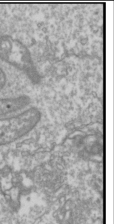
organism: Drosophila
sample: Cell division; meiosis; drosophila spermatocytes